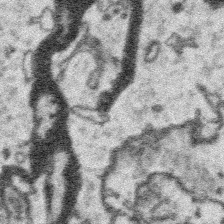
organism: Platynereis dumerilii